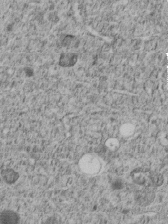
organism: C. elegans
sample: C. elegans embryo early stage